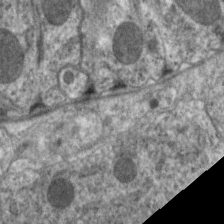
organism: C. elegans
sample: Pharynx